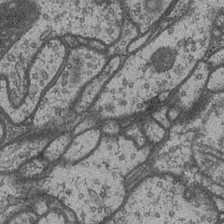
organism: Drosophila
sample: Optic medulla